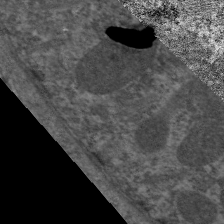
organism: C. elegans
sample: Pharynx